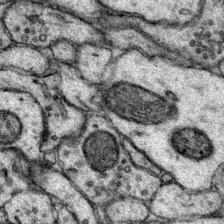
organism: Mouse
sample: Primary visual cortex